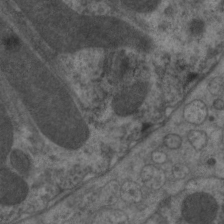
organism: C. elegans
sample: Pharynx